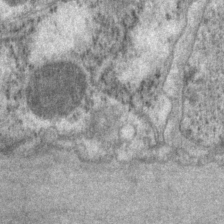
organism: P. pacificus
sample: Pharynx